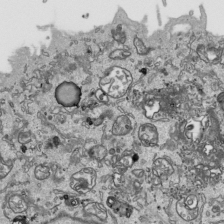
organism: Human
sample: Mitochondria in HCT116 cells